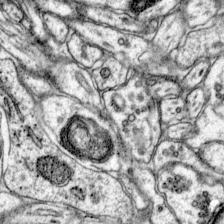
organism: Mouse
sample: Primary visual cortex